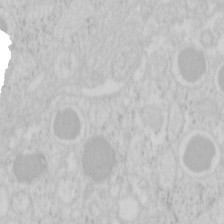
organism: Mouse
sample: Pancreas